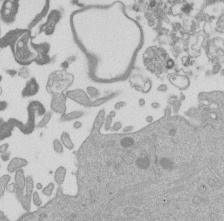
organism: Mouse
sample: Dividing mouse embryo 1 cell stage